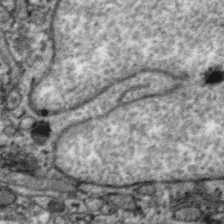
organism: Zebra finch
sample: Brain